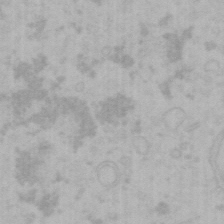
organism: Mouse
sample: Choroid plexus